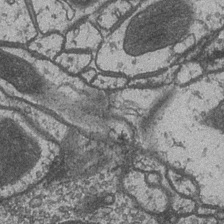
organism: Drosophila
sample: Optic medulla